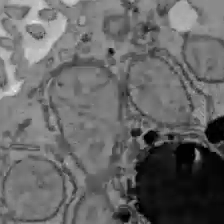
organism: C57BL Mouse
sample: Liver